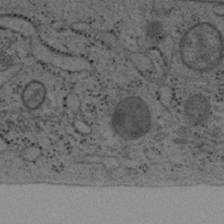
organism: Human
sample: HeLa cells